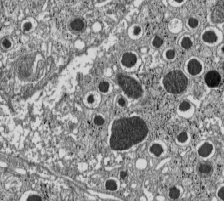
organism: C57BL Mouse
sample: Pancreatic islet